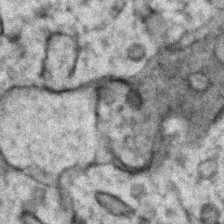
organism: Zebrafish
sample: Zebrafish embryo